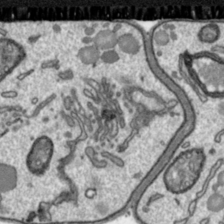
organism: Toxoplasma gondii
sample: Parasites in a vacuole inside a host cell